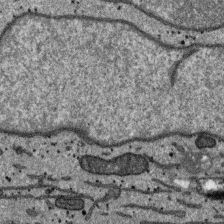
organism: Human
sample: Lung epithelial cells, uninfected (mock) control